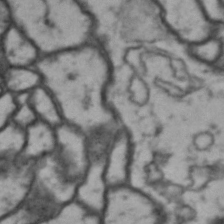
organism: Drosophila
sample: Brain